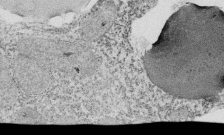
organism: Tetrahymena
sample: Cilia in tetrahymena